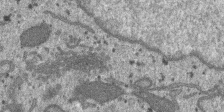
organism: Human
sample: Lung epithelial cells infected with SARS-CoV-2